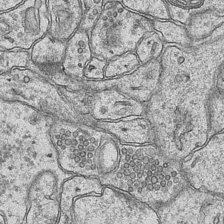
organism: Mouse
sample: CA1 Hippocampus